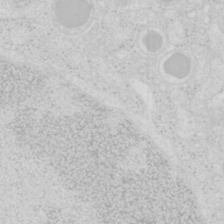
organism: Mouse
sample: Pancreas